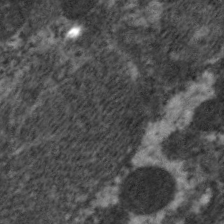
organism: C. elegans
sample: Pharynx